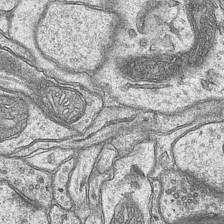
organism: Mouse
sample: CA1 Hippocampus